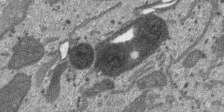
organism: Human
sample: Lung epithelial cells infected with SARS-CoV-2